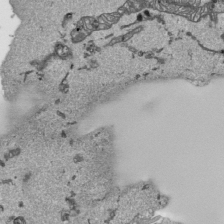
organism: Human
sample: Mitochondria in HCT116 cells